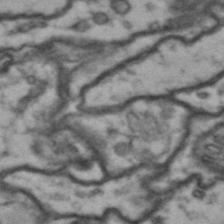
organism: Drosophila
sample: Brain